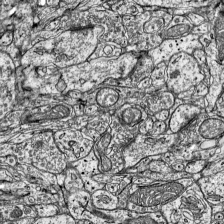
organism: Mouse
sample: Visual Cortex